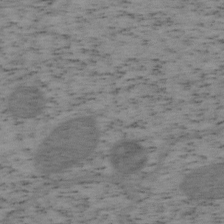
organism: Mouse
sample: OT-I killer T cells with ID8 ovarian cancer cells